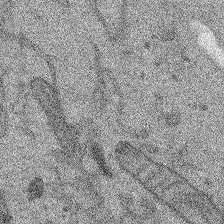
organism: Human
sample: HeLa cells